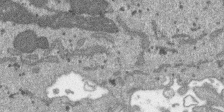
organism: Human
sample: Lung epithelial cells infected with SARS-CoV-2